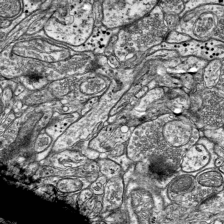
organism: Mouse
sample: Visual Cortex